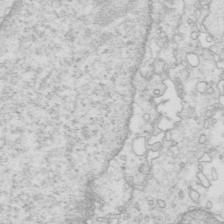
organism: Mouse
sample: Multiciliated cells